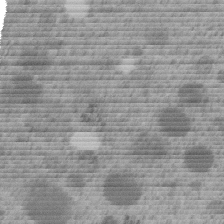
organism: C. elegans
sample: C. elegans embryo early stage